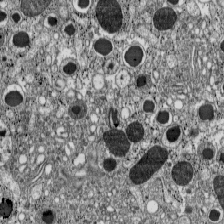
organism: C57BL Mouse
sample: Pancreatic islet